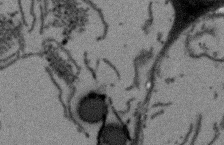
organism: Arabidopsis thaliana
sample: Root tip